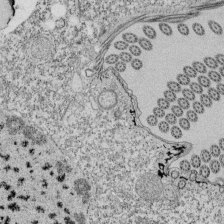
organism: Tetrahymena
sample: Cilia in tetrahymena